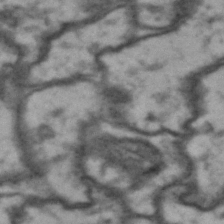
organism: Drosophila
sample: Brain